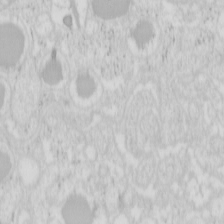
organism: Mouse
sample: Pancreas